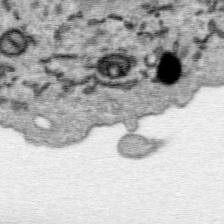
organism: Human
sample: HeLa cells